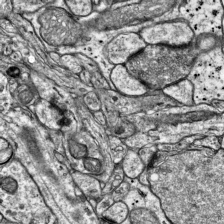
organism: Mouse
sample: Visual Cortex